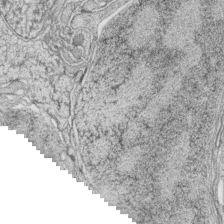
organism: Zebrafish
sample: synaptic ribbons in rod cells and cone cells